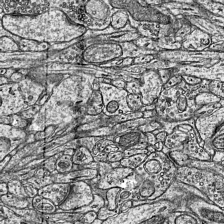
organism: Mouse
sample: Visual Cortex